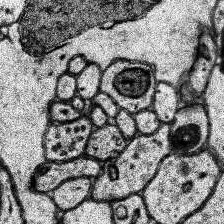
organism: Human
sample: Temporal Lobe